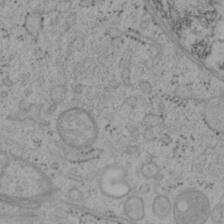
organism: Human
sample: HeLa cells